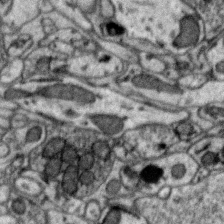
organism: Zebra finch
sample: Brain